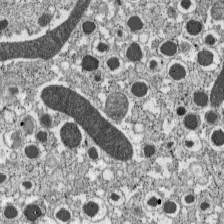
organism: C57BL Mouse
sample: Pancreatic islet